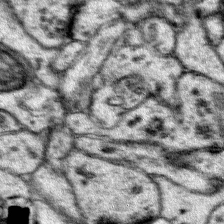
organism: Mouse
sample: Primary visual cortex